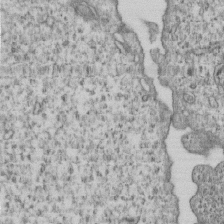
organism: Human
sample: MDA-MB-231 cells